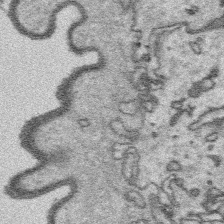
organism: Platynereis dumerilii